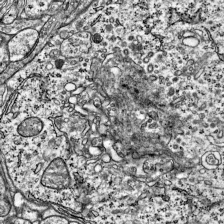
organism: Mouse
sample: Visual Cortex